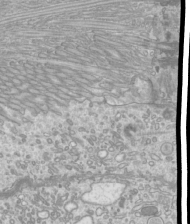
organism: Mouse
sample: Cilia; mouse epididymis